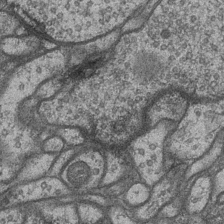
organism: Drosophila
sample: Optic medulla